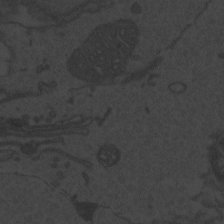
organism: Zebrafish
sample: Macrophage infected with Toxoplasma gondii